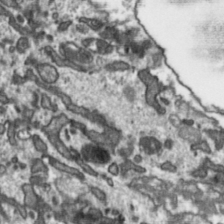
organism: Toxoplasma gondii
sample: Parasites in a vacuole inside a host cell